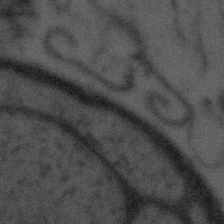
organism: Tuwongella immobilis